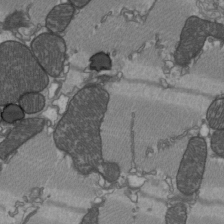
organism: C57BL Mouse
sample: Heart